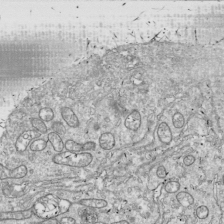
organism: Drosophila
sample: Cell division; meiosis; drosophila spermatocytes